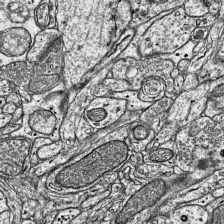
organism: Mouse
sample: Visual Cortex